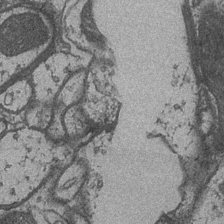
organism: Drosophila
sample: Optic medulla